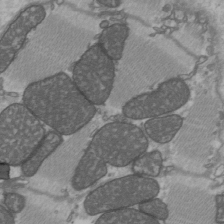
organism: C57BL Mouse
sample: Heart